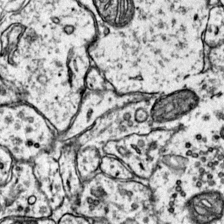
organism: Mouse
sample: Primary visual cortex